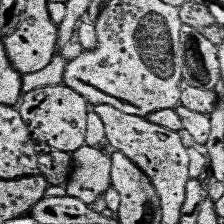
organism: Human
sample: Temporal Lobe